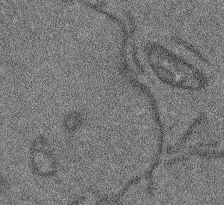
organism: Arabidopsis thaliana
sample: Root tip